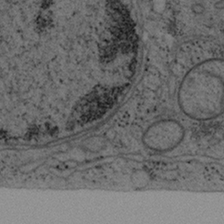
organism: Human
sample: HeLa cells